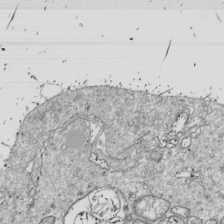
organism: Drosophila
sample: Cell division; meiosis; drosophila spermatocytes